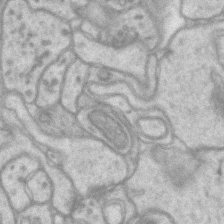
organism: Mouse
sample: CA1 Hippocampus